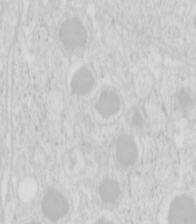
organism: Mouse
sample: Pancreas